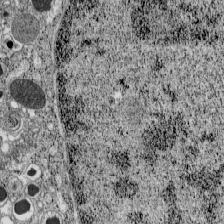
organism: C57BL Mouse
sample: Pancreatic islet